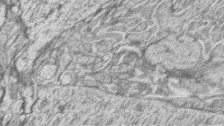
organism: Zebrafish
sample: synaptic ribbons in rod cells and cone cells